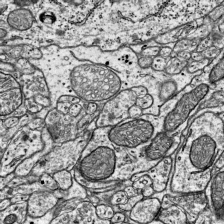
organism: Mouse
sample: Visual Cortex